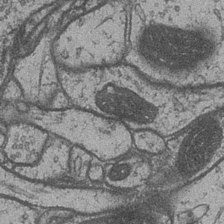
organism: Drosophila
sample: Optic medulla